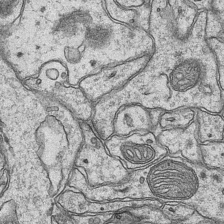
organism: Mouse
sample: CA1 Hippocampus